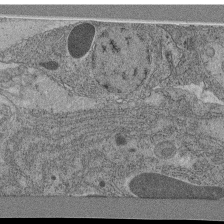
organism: C. elegans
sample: C. elegans pharynx